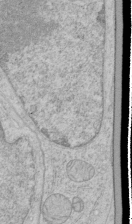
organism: Human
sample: Mitochondria in HCT116 cells